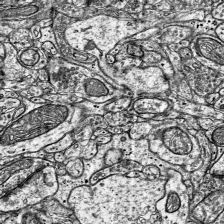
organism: Mouse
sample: Visual Cortex